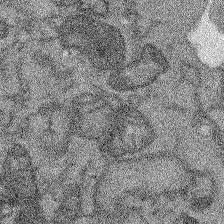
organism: Human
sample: HeLa cells